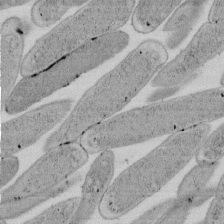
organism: E. coli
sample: Bacterial nucleoid